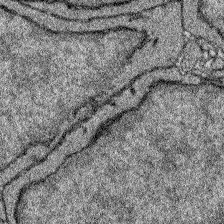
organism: Zebrafish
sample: Larval olfactory bulb